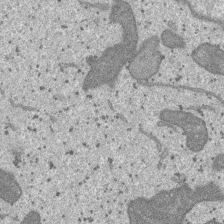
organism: Human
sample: Lung epithelial cells infected with SARS-CoV-2